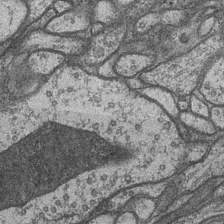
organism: Drosophila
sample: Optic medulla